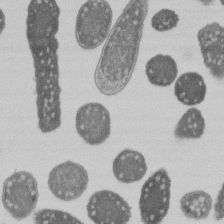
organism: E. coli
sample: Bacterial nucleoid